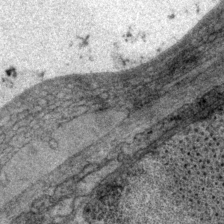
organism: P. pacificus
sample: Pharynx